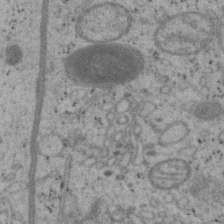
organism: Human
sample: HeLa cells